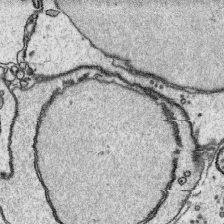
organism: Platynereis dumerilii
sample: Parapodia